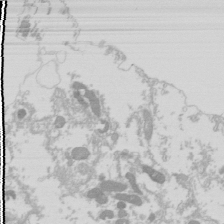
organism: Drosophila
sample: Cell division; meiosis; drosophila spermatocytes